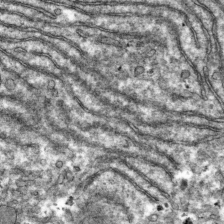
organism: Mouse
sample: Mouse hepatocytes